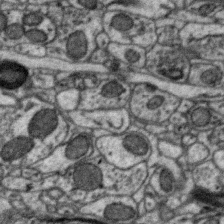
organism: Zebra finch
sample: Brain